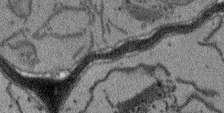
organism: Arabidopsis thaliana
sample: Root tip